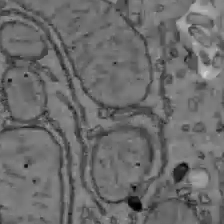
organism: C57BL Mouse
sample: Liver